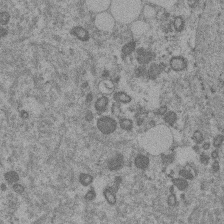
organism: Mouse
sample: Dividing mouse embryo 1 cell stage